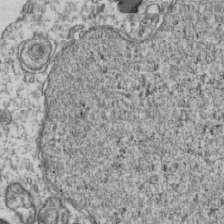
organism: Human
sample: Activated Jurkat CD4+ T cells